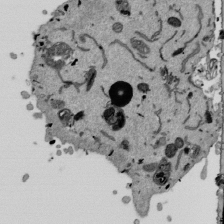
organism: Mouse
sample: ED-1 cell nuclei; centrioles